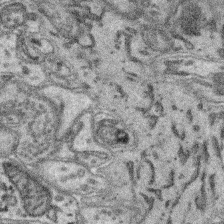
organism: Mouse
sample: Retina